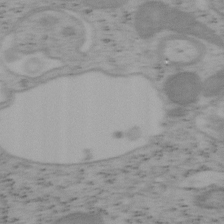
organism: Mouse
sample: OT-I killer T cells with ID8 ovarian cancer cells